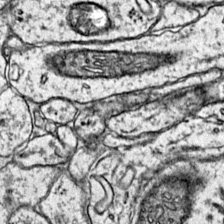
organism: Mouse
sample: Primary visual cortex